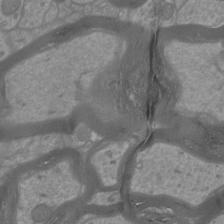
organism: Mouse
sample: Cortical neurons